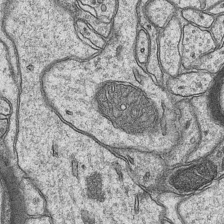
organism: Mouse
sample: CA1 Hippocampus